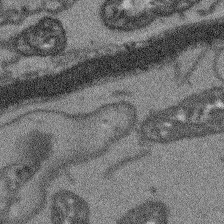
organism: Arabidopsis thaliana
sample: Root tip